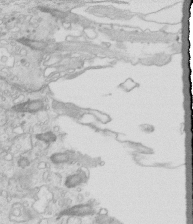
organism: Mouse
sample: Multiciliated cells